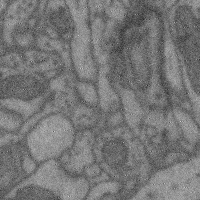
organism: Mouse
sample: Cerebral cortex